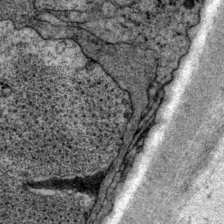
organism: P. pacificus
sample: Pharynx